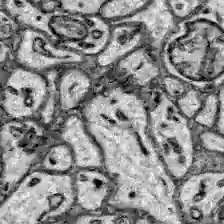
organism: Zebrafish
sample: Brain